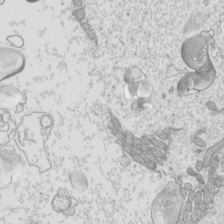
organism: Mouse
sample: Cilia; mouse epididymis